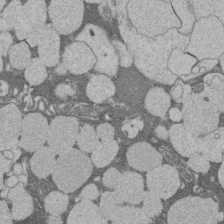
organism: Rat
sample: Salivary granule